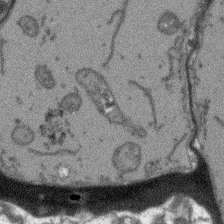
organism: Arabidopsis thaliana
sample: Root tip